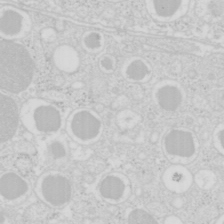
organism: Mouse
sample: Pancreas